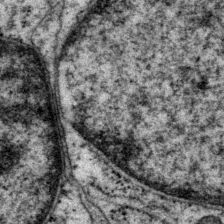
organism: P. pacificus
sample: Pharynx